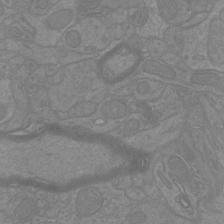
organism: Mouse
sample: Cortical neurons